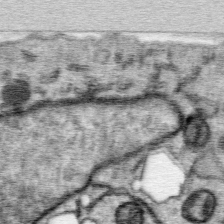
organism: Human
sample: HeLa cells